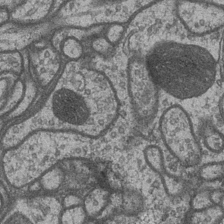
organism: Drosophila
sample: Optic medulla